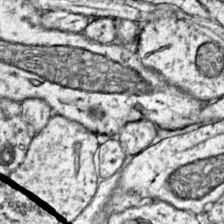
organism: Mouse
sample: Primary visual cortex